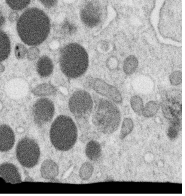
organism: C. elegans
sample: C. elegans oocyte; sperm cells